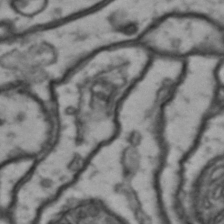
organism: Drosophila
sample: Brain